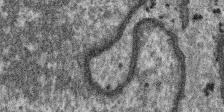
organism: Human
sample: Lung epithelial cells infected with SARS-CoV-2